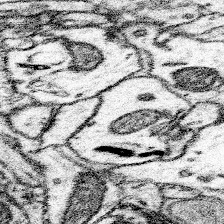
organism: Mouse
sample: Somatosensory cortex neuropil